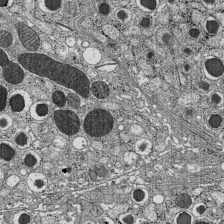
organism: C57BL Mouse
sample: Pancreatic islet